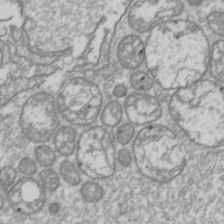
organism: Drosophila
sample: Cell division; meiosis; drosophila spermatocytes